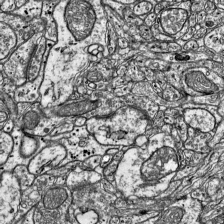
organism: Mouse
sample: Visual Cortex